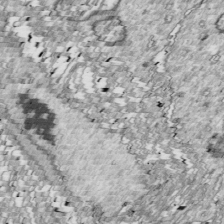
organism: Drosophila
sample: Cell division; meiosis; drosophila spermatocytes